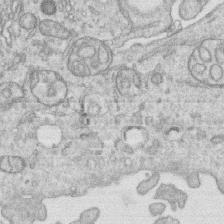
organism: Human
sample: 1205lu cells